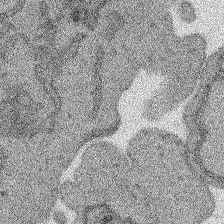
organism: Human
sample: HeLa cells